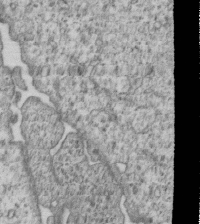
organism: Human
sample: MDA-MB-231 cells